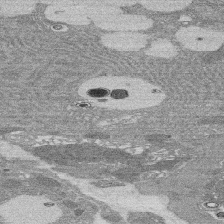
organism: Rat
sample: Salivary granule